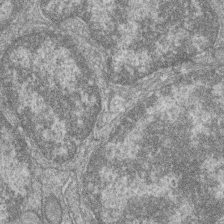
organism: Zebrafish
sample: Cilia; retinal pigment epithelium